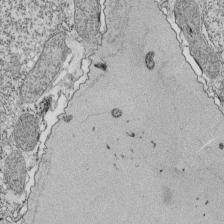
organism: Tetrahymena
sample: Cilia in tetrahymena